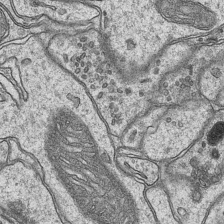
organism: Mouse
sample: CA1 Hippocampus